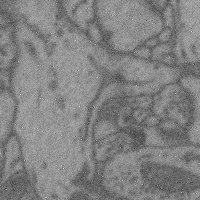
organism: Mouse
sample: Cerebral cortex